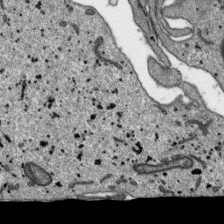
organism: Human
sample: Lung epithelial cells, uninfected (mock) control